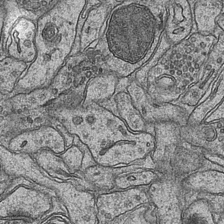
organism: Mouse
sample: CA1 Hippocampus